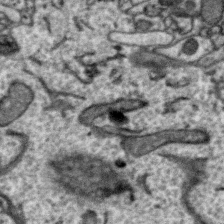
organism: Zebra finch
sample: Brain